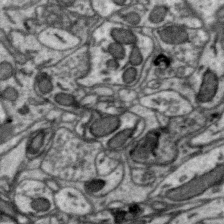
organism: Zebra finch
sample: Brain